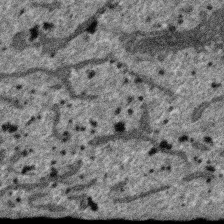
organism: Human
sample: Lung epithelial cells infected with SARS-CoV-2